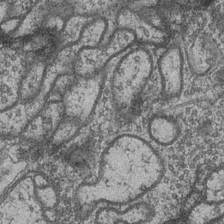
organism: Drosophila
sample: Optic medulla